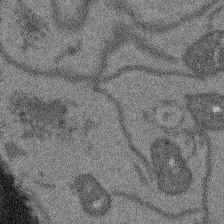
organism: Arabidopsis thaliana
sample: Root tip